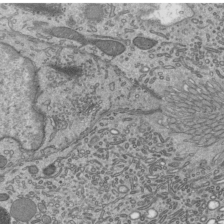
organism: Mouse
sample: Mouse epididymis efferent ductule cilia